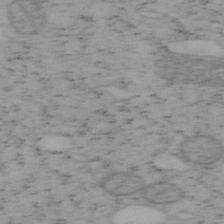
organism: Mouse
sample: OT-I killer T cells with ID8 ovarian cancer cells